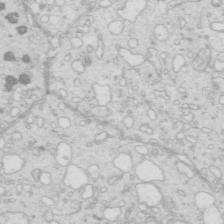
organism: Mouse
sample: Multiciliated cells